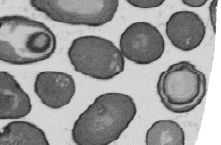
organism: B. subtilis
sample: Bacterial spore